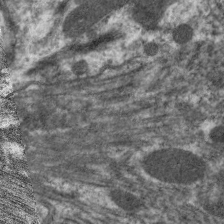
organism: C. elegans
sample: Pharynx